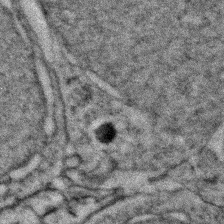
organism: Zebrafish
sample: Zebrafish embryo